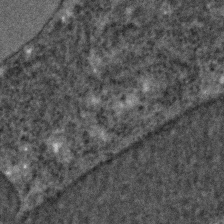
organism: C. elegans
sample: C. elegans embryo